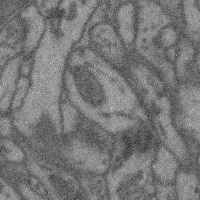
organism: Mouse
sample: Cerebral cortex